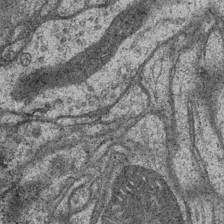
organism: Drosophila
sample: Optic medulla